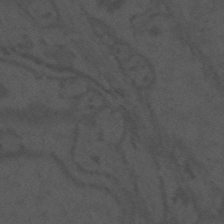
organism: Mouse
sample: Suprachiasmatic nucleus